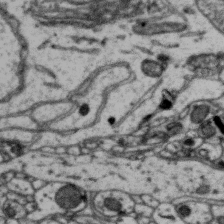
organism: Zebra finch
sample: Brain